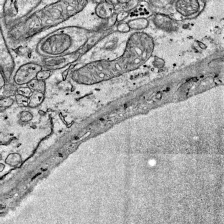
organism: Mouse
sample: Visual Cortex